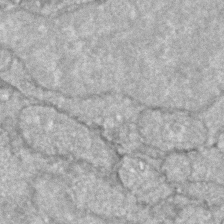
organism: Zebrafish